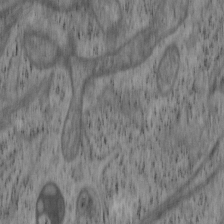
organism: Human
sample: HeLa cells